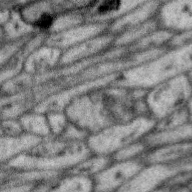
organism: Zebra finch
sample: Brain